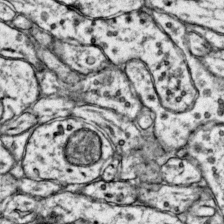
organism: Mouse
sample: Primary visual cortex